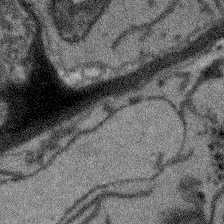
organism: Arabidopsis thaliana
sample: Root tip